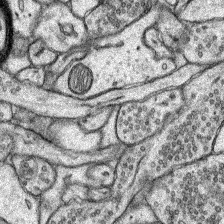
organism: Rat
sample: Hippocampus